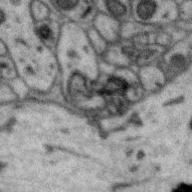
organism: Zebra finch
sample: Brain